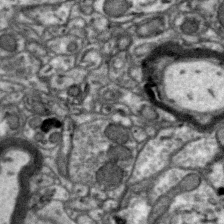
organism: Zebra finch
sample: Brain